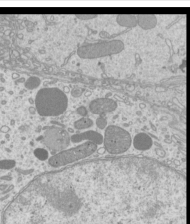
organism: Mouse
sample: Cilia; mouse epididymis